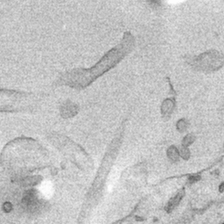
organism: Human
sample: Mitochondria in HCT116 cells